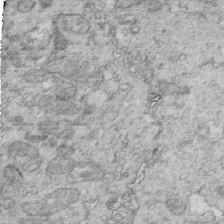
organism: Mouse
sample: Multiciliated cells